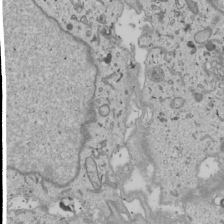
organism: Human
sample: Mitochondria in U2OS cells